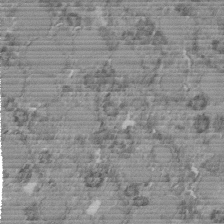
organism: C. elegans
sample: C. elegans embryo early stage